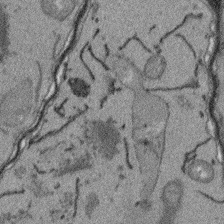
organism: Arabidopsis thaliana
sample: Root tip